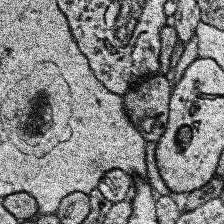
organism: Human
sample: Temporal Lobe